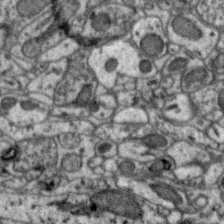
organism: Zebra finch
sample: Brain